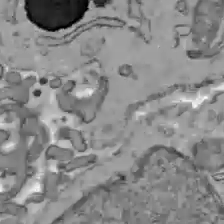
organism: C57BL Mouse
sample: Liver